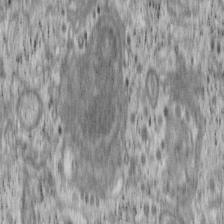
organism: Human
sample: HeLa cells